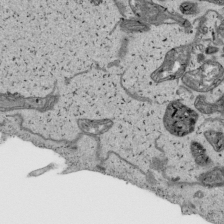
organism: Human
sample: Mitochondria in HCT116 cells